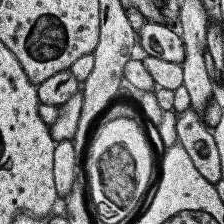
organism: Human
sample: Temporal Lobe